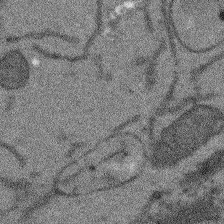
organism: Arabidopsis thaliana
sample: Root tip